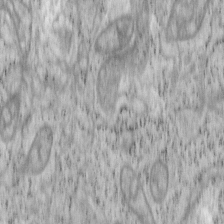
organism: Human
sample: HeLa cells